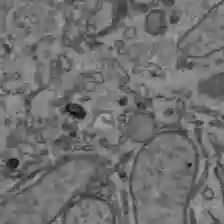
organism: C57BL Mouse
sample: Liver